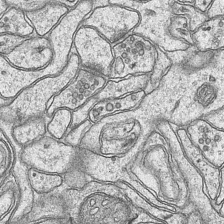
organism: Mouse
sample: CA1 Hippocampus